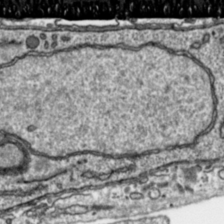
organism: Toxoplasma gondii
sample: Parasites in a vacuole inside a host cell